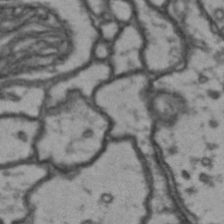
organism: Drosophila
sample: Brain